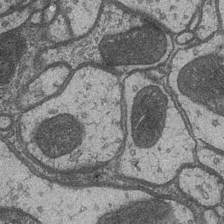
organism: Drosophila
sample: Optic medulla